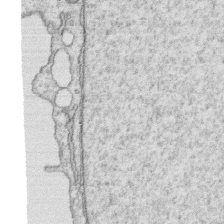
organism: Human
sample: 1205lu cells